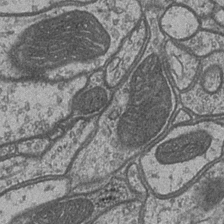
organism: Drosophila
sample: Optic medulla